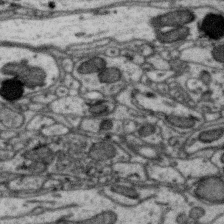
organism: Zebra finch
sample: Brain